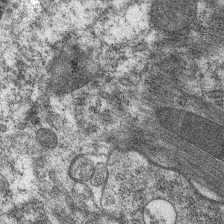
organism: C. elegans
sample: Pharynx